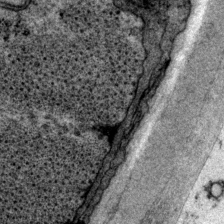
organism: P. pacificus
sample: Pharynx